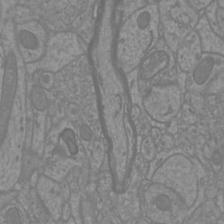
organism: Mouse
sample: Cortical neurons